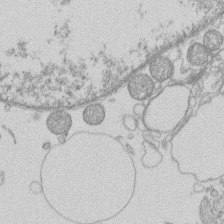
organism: Human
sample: Macrophage cells